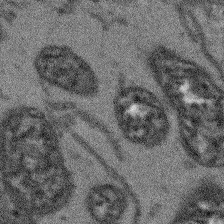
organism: Arabidopsis thaliana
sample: Root tip